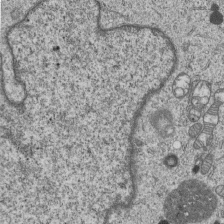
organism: Human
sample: MDA-MB-231 cells